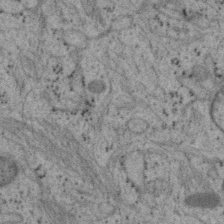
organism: Human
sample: HeLa cells